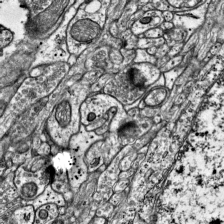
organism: Mouse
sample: Visual Cortex